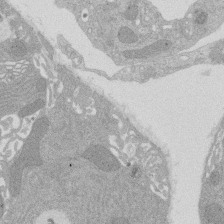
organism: Rat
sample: Salivary granule